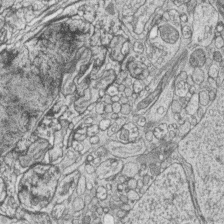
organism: Zebrafish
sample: synaptic ribbons in rod cells and cone cells